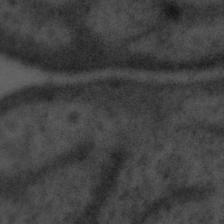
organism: Tuwongella immobilis